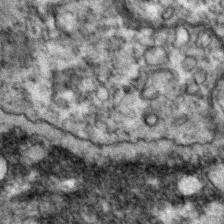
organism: Zebrafish